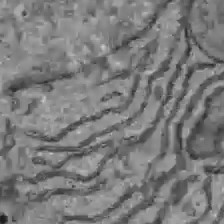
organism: C57BL Mouse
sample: Liver